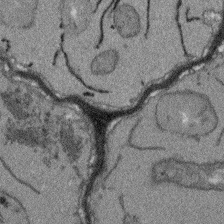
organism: Arabidopsis thaliana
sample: Root tip